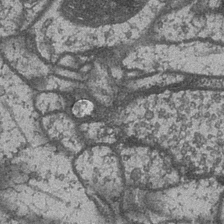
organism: Drosophila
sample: Optic medulla